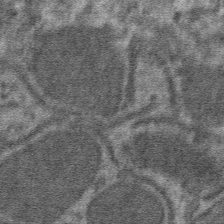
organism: Mouse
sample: Mouse hepatocytes